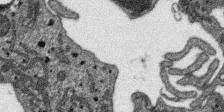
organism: Human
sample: Lung epithelial cells infected with SARS-CoV-2